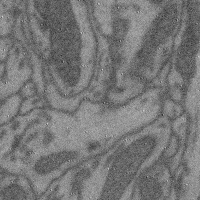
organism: Mouse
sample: Cerebral cortex